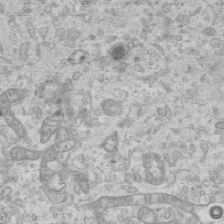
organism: Mouse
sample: Centriole in ependymal cells